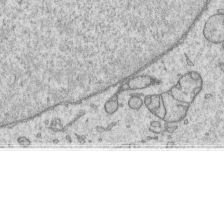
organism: Human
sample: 1205lu cells